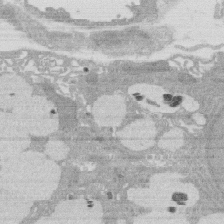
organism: Rat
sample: Salivary granule